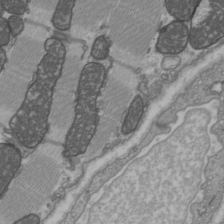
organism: C57BL Mouse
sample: Heart